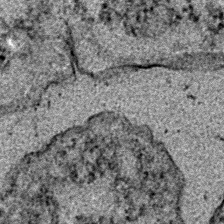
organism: E. coli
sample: E. Coli Bacteria